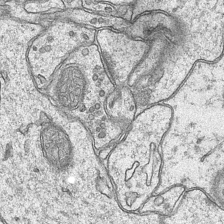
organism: Mouse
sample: CA1 Hippocampus